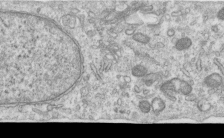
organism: Human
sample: Centriole in RPE cells